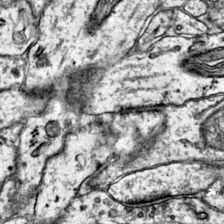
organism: Mouse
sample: Primary visual cortex